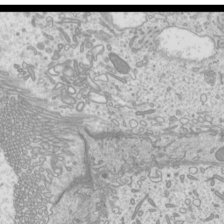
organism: Mouse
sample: Cilia; mouse epididymis